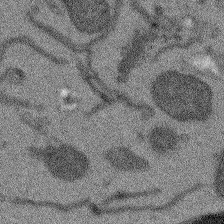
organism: Arabidopsis thaliana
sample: Root tip